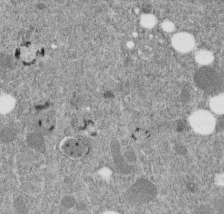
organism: C. elegans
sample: C. elegans embryo early stage